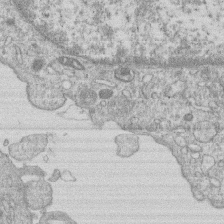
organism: Human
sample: Macrophage cells